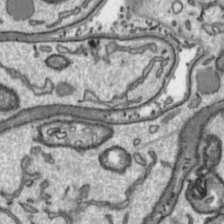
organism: Toxoplasma gondii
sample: Parasites in a vacuole inside a host cell